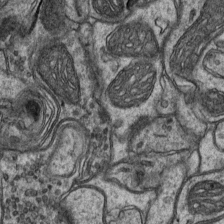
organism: Mouse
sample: CA1 Hippocampus